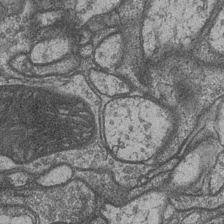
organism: Drosophila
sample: Optic medulla